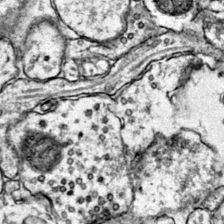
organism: Mouse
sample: Primary visual cortex